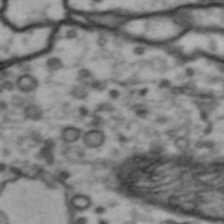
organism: Drosophila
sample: Brain